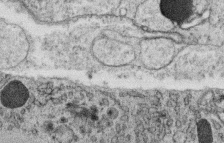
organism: C. elegans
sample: C. elegans oocyte; sperm cells